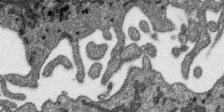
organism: Human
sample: Lung epithelial cells infected with SARS-CoV-2